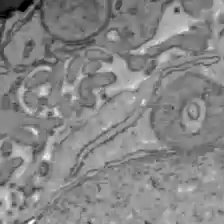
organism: C57BL Mouse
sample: Liver